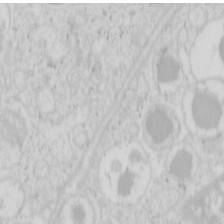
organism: Mouse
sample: Pancreas